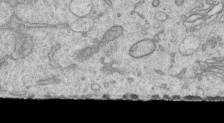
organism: Human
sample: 1205lu cells